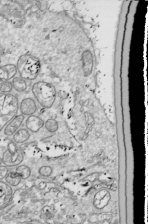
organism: Drosophila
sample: Cell division; meiosis; drosophila spermatocytes